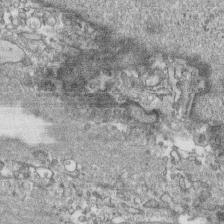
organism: Human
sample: CRL-1474